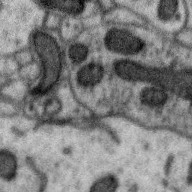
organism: Zebra finch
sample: Brain